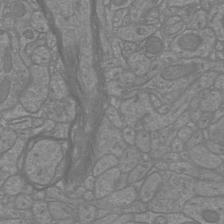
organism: Mouse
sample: Cortical neurons